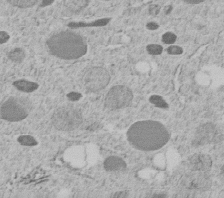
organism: C. elegans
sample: C. elegans embryo early stage